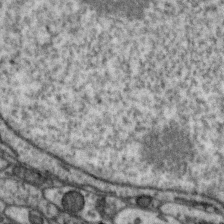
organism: Zebra finch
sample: Brain